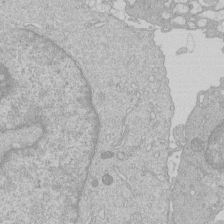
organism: Human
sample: Macrophage cells